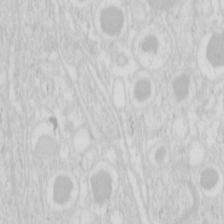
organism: Mouse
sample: Pancreas